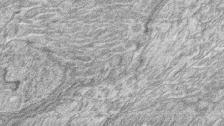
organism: Zebrafish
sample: synaptic ribbons in rod cells and cone cells